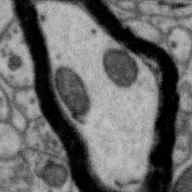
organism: Zebra finch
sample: Brain